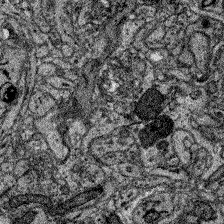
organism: Zebrafish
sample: Larval olfactory bulb